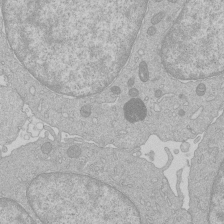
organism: Human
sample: Macrophage cells